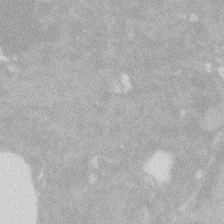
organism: Zebrafish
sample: Macrophage